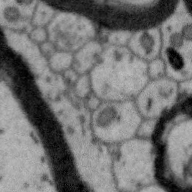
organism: Zebra finch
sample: Brain